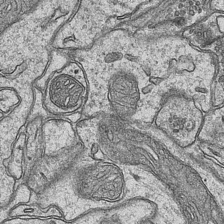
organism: Mouse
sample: CA1 Hippocampus